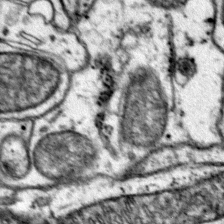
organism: Mouse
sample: Primary visual cortex